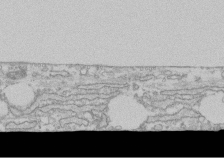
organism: Human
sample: CRL-1474